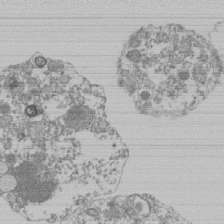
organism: Mouse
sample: Activated Pmel transgenic CD8+ T Cells